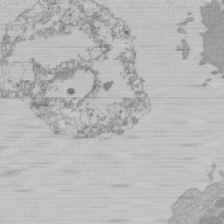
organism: Mouse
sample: Activated Pmel transgenic CD8+ T Cells